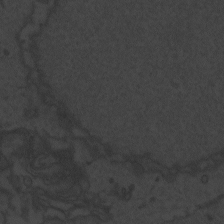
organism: Zebrafish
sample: Macrophage infected with Toxoplasma gondii